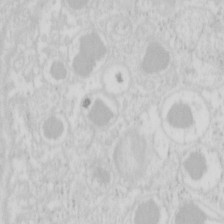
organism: Mouse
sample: Pancreas